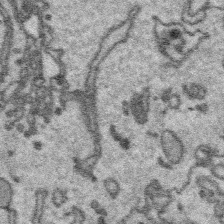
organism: Platynereis dumerilii